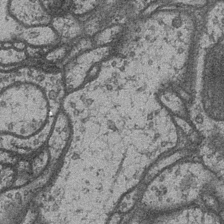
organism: Drosophila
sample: Optic medulla